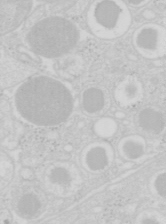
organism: Mouse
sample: Pancreas